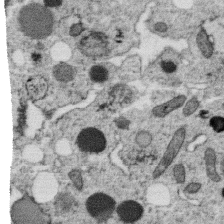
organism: C. elegans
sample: C. elegans oocyte; sperm cells